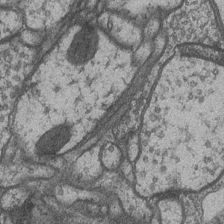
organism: Drosophila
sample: Optic medulla